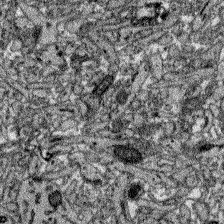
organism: Zebrafish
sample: Larval olfactory bulb